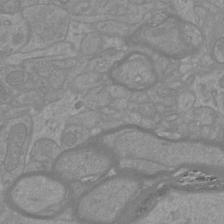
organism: Mouse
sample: Cortical neurons